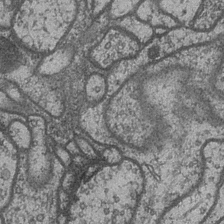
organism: Drosophila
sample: Optic medulla